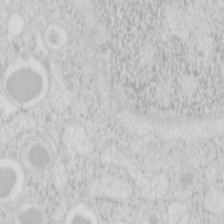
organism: Mouse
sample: Pancreas